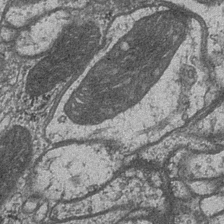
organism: Drosophila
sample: Optic medulla